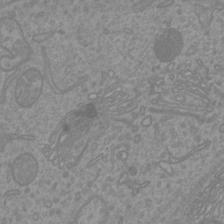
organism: Mouse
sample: Cortical neurons